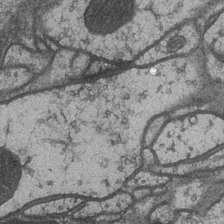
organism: Drosophila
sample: Optic medulla